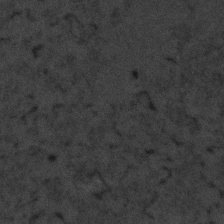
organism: C. elegans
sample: C. elegans embryo